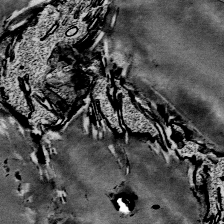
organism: Mouse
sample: Mouse Salivary gland